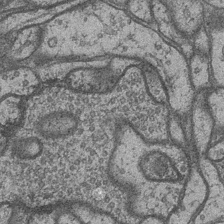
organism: Drosophila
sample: Optic medulla